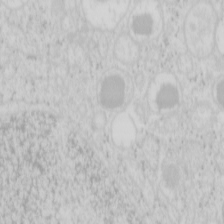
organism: Mouse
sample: Pancreas